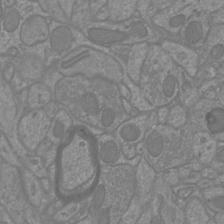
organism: Mouse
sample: Cortical neurons